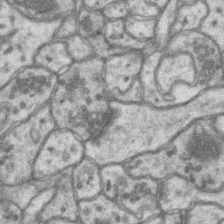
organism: Mouse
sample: CA1 Hippocampus